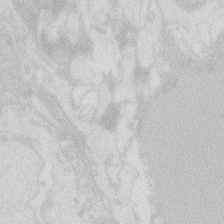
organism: Zebrafish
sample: Macrophage